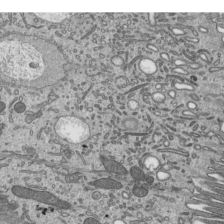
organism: Mouse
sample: Mouse epididymis efferent ductule cilia